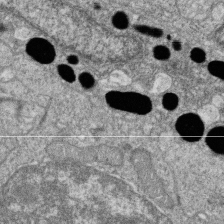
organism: Zebrafish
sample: Cilia; retinal pigment epithelium